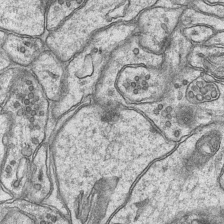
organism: Mouse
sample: CA1 Hippocampus